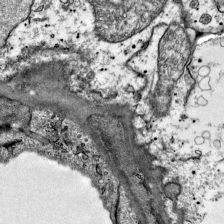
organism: Mouse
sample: Visual Cortex